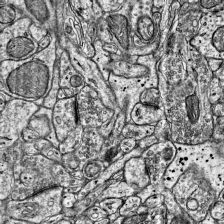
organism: Mouse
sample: Visual Cortex